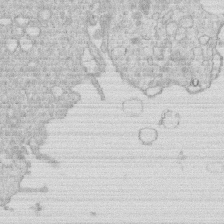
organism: Human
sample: Macrophage cells